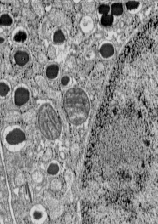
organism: C57BL Mouse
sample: Pancreatic islet